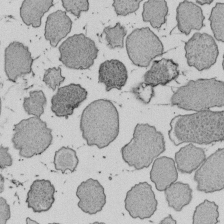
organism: E. coli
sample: Bacterial nucleoid